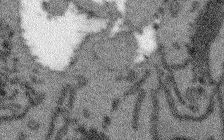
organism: Arabidopsis thaliana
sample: Root tip